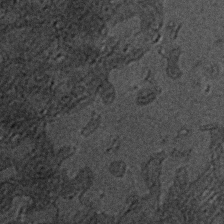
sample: Trachea